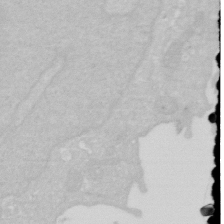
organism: Human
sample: HIV infected U937 cells